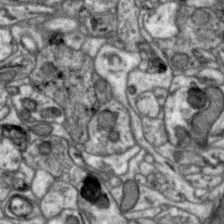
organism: Zebra finch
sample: Brain